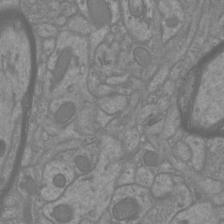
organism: Mouse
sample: Cortical neurons